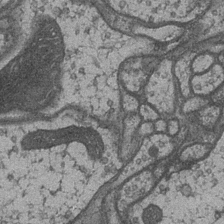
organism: Drosophila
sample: Optic medulla